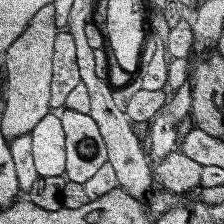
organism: Human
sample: Temporal Lobe